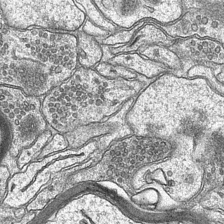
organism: Mouse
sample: CA1 Hippocampus